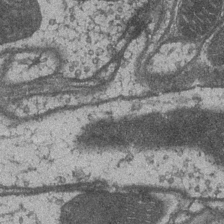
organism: Drosophila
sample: Optic medulla